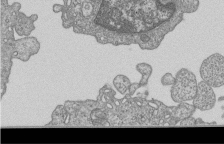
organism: Human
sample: MDA-MB-231 cells